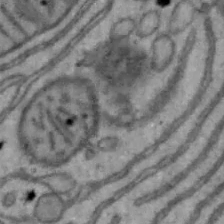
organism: Mouse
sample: Liver